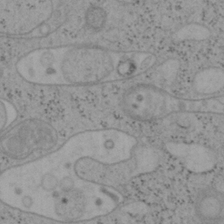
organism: Mouse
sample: OT-I killer T cells with ID8 ovarian cancer cells